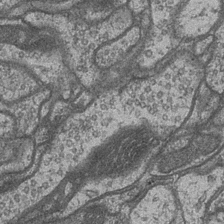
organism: Drosophila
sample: Optic medulla